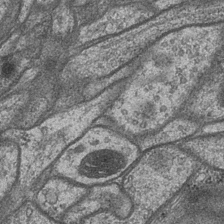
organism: Drosophila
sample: Optic medulla